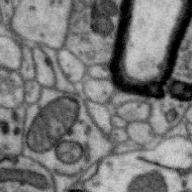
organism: Zebra finch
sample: Brain